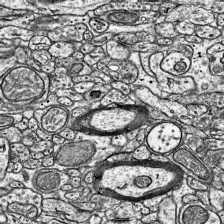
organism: Mouse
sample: Visual Cortex